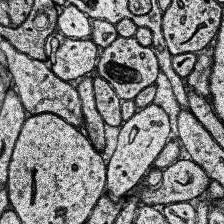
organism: Human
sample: Temporal Lobe